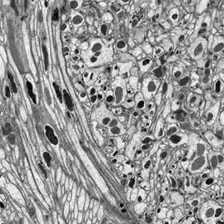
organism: Drosophila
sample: Optic lobe